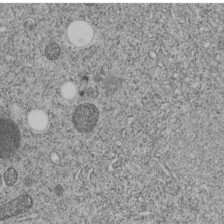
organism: C. elegans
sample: C. elegans embryo early stage